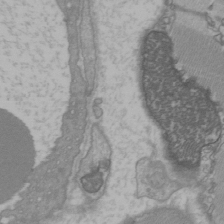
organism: C57BL Mouse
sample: Heart